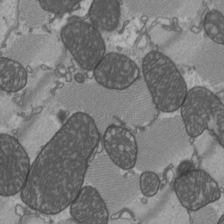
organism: C57BL Mouse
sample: Heart